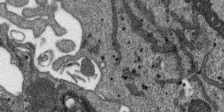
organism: Human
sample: Lung epithelial cells infected with SARS-CoV-2